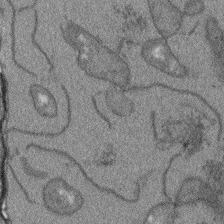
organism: Arabidopsis thaliana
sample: Root tip